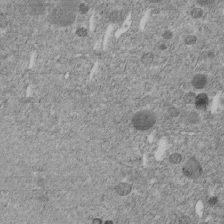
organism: C. elegans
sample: C. elegans embryo early stage